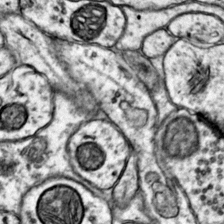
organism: Mouse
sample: Primary visual cortex